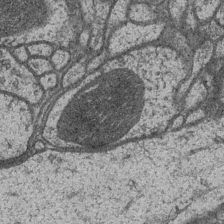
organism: Drosophila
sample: Optic medulla